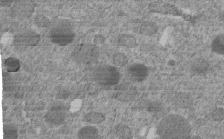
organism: C. elegans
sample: C. elegans embryo early stage